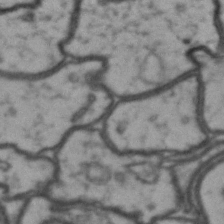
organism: Drosophila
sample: Brain